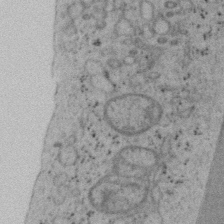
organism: Human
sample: HeLa cells